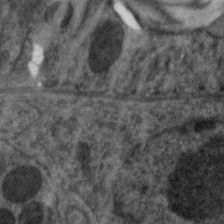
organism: C. elegans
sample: Pharynx